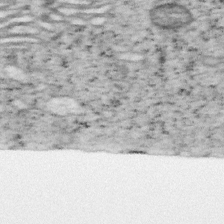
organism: Mouse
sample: OT-I killer T cells with ID8 ovarian cancer cells